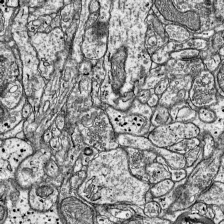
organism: Mouse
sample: Visual Cortex